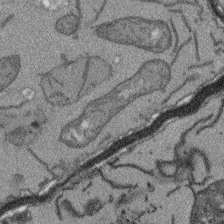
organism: Arabidopsis thaliana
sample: Root tip